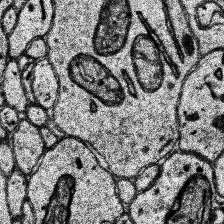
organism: Human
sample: Temporal Lobe